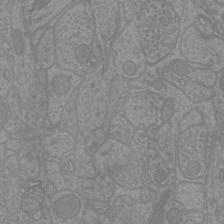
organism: Mouse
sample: Cortical neurons